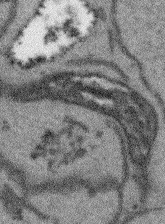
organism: Arabidopsis thaliana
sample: Root tip